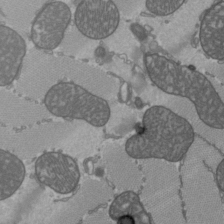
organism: C57BL Mouse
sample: Heart